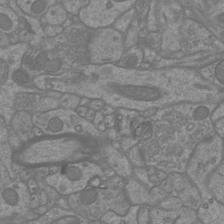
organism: Mouse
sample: Cortical neurons